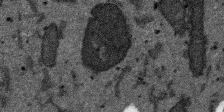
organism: Human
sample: Lung epithelial cells infected with SARS-CoV-2